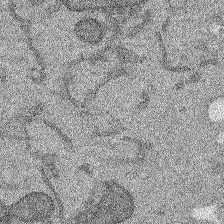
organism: Human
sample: HeLa cells